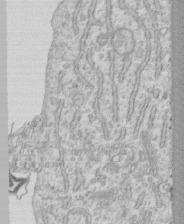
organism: Human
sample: CRL-1474